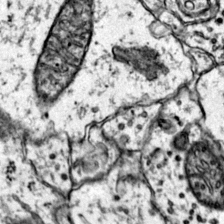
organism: Mouse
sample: Primary visual cortex